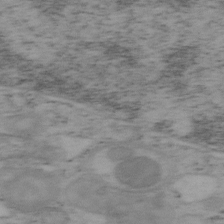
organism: Mouse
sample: OT-I killer T cells with ID8 ovarian cancer cells